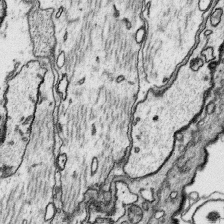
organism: Platynereis dumerilii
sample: Parapodia